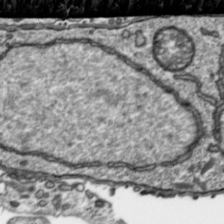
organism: Toxoplasma gondii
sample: Parasites in a vacuole inside a host cell